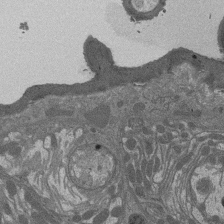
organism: Drosophila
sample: Antenna